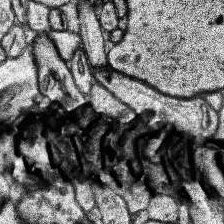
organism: Human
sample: Temporal Lobe